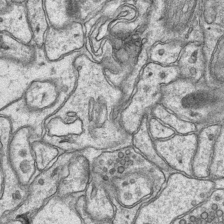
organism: Mouse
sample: CA1 Hippocampus